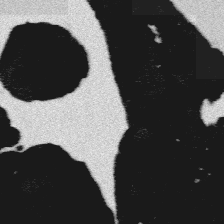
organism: Platynereis dumerilii